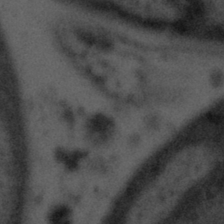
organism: Tuwongella immobilis